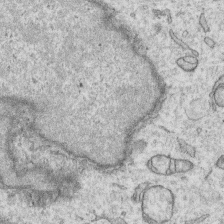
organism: Human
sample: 1205lu cells